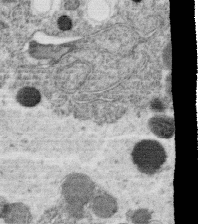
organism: C. elegans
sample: C. elegans oocyte; sperm cells